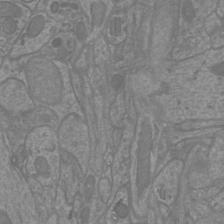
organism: Mouse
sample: Cortical neurons